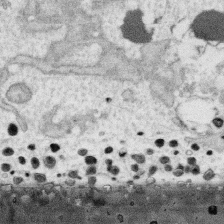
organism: Human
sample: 1205lu cells